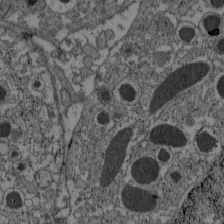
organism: C57BL Mouse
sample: Pancreatic islet